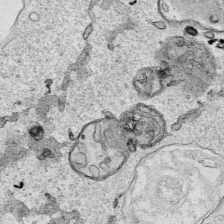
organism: Human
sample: Mitochondria in HCT116 cells